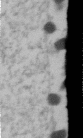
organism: Human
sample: U2-OS cells